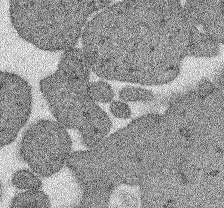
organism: Human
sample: HeLa cells